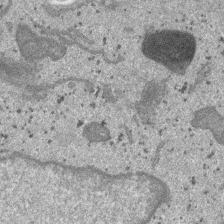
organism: Human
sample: Lung epithelial cells infected with SARS-CoV-2